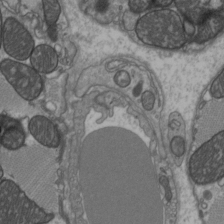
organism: C57BL Mouse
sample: Heart